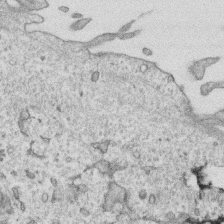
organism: Human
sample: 1205lu cells